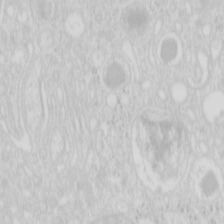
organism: Mouse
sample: Pancreas